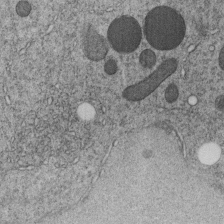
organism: C. elegans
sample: C. elegans embryo early stage